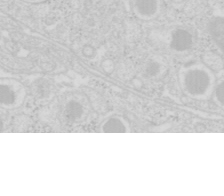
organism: Mouse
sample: Pancreas